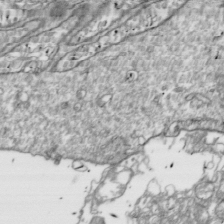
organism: Drosophila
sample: Cell division; meiosis; drosophila spermatocytes